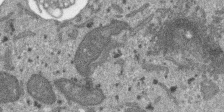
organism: Human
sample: Lung epithelial cells infected with SARS-CoV-2